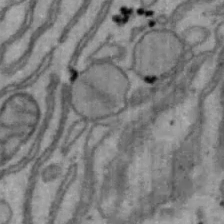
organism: Mouse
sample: Liver